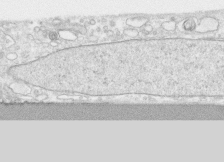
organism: Human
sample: CRL-1474